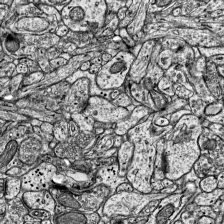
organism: Mouse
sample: Visual Cortex